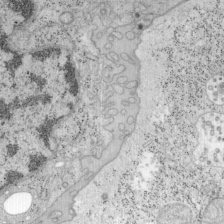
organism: Mouse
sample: OT-I killer T cells with ID8 ovarian cancer cells